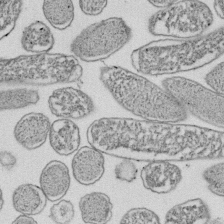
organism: E. coli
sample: Bacterial nucleoid